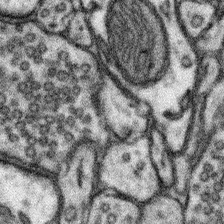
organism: Mouse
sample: Somatosensory cortex neuropil